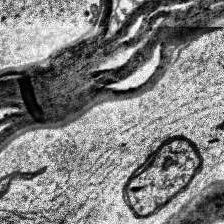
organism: Human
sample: Temporal Lobe